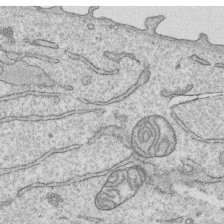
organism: Human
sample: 1205lu cells